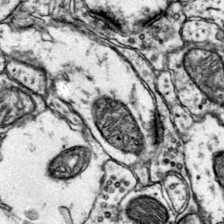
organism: Mouse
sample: Primary visual cortex